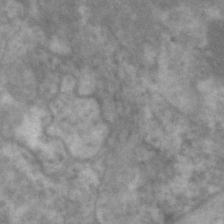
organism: C. elegans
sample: Pharynx